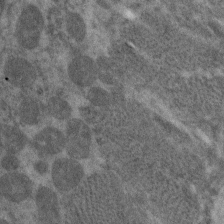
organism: C. elegans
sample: Pharynx